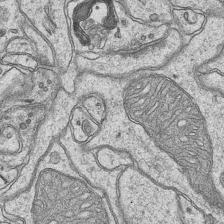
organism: Mouse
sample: CA1 Hippocampus